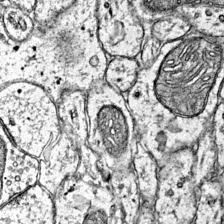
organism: Mouse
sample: Primary visual cortex